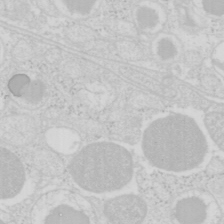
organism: Mouse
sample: Pancreas